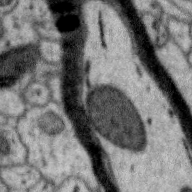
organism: Zebra finch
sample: Brain